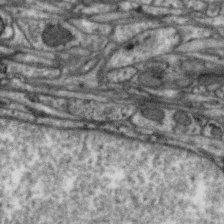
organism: Zebra finch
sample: Brain